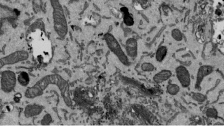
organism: Mouse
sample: ED-1 cell nuclei; centrioles